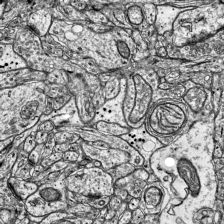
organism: Mouse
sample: Visual Cortex